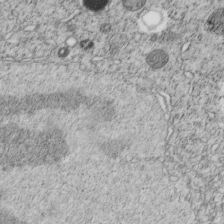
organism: C. elegans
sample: C. elegans embryo early stage